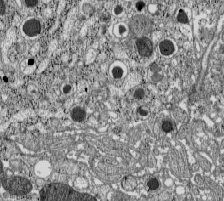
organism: C57BL Mouse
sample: Pancreatic islet